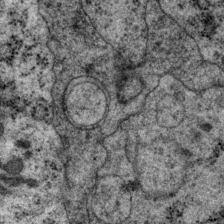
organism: P. pacificus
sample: Pharynx